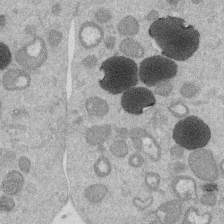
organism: Mouse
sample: Dividing mouse embryo 1 cell stage